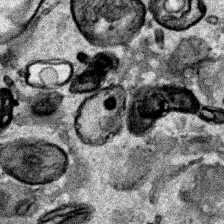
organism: Human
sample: Mitochondria in HCT116 cells